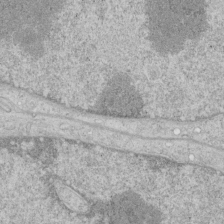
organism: Human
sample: Mitochondria in HCT116 cells